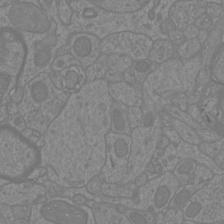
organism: Mouse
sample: Cortical neurons